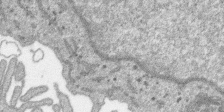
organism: Human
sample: Lung epithelial cells infected with SARS-CoV-2